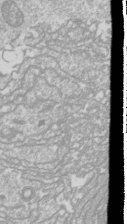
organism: Drosophila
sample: Cell division; meiosis; drosophila spermatocytes